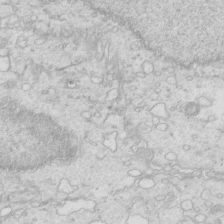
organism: Mouse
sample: Multiciliated cells